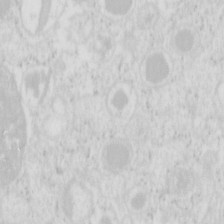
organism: Mouse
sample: Pancreas